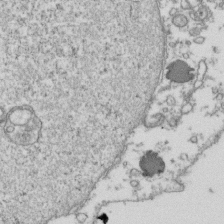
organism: Human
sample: Activated Jurkat CD4+ T cells